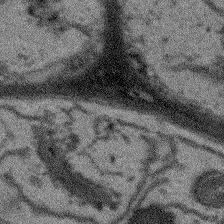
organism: Arabidopsis thaliana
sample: Root tip